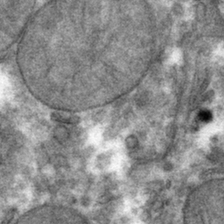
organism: Mouse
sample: Mouse hepatocytes